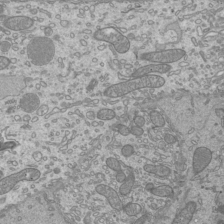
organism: Mouse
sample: Cilia; mouse epididymis